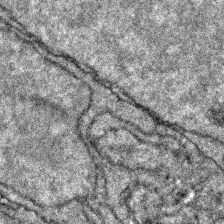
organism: Zebrafish